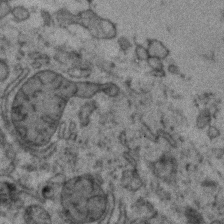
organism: Zebrafish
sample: Zebrafish embryo